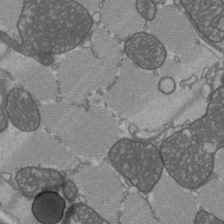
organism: C57BL Mouse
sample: Heart